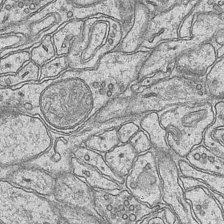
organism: Mouse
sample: CA1 Hippocampus